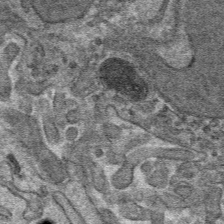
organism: Mouse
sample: Mouse hepatocytes